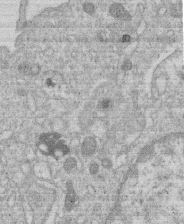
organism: Human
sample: Macrophage cells